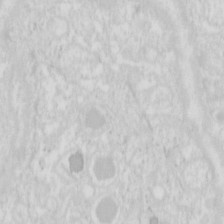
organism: Mouse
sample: Pancreas